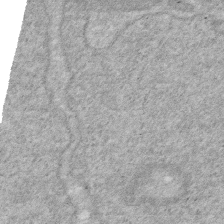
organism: Human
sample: HIV infected U937 cells